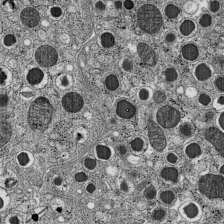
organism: C57BL Mouse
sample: Pancreatic islet